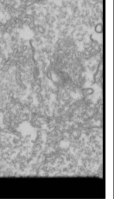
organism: Drosophila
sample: Cell division; meiosis; drosophila spermatocytes